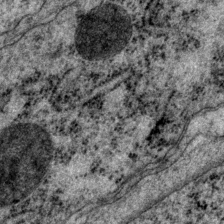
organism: P. pacificus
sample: Pharynx